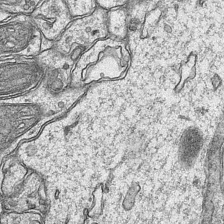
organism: Mouse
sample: CA1 Hippocampus